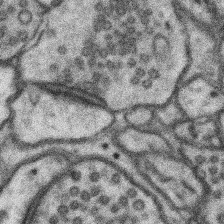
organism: Mouse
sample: Somatosensory cortex neuropil